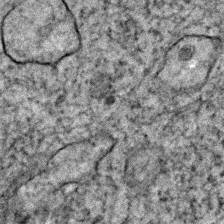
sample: Trachea